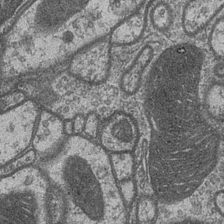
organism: Drosophila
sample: Optic medulla